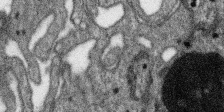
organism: Human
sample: Lung epithelial cells infected with SARS-CoV-2